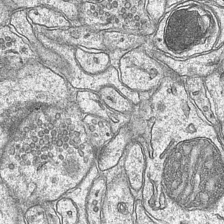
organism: Mouse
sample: CA1 Hippocampus